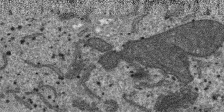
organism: Human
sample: Lung epithelial cells infected with SARS-CoV-2